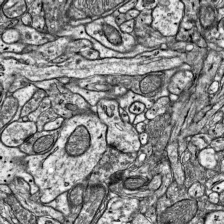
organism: Mouse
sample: Visual Cortex